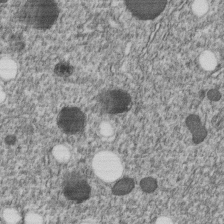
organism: C. elegans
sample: C. elegans embryo early stage